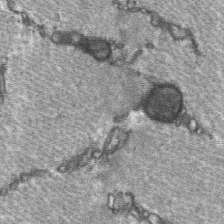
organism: C57BL Mouse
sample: Soleus